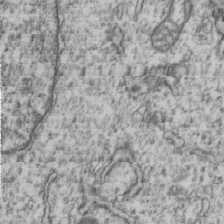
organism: Human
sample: MDA-MB-231 cells